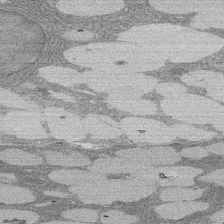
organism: Rat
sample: Salivary granule